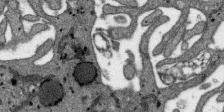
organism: Human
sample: Lung epithelial cells, uninfected (mock) control